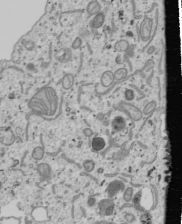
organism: Human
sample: Mitochondria in U2OS cells